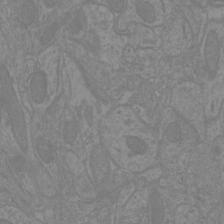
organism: Mouse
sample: Cortical neurons